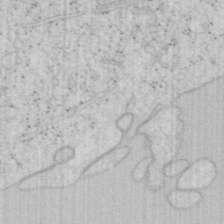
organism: Human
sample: HeLa cells